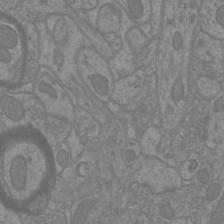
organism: Mouse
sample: Cortical neurons